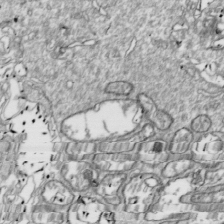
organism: Drosophila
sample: Cell division; meiosis; drosophila spermatocytes